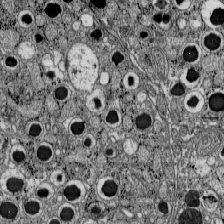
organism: C57BL Mouse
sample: Pancreatic islet